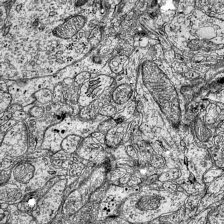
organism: Mouse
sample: Visual Cortex